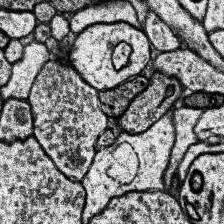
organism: Human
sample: Temporal Lobe